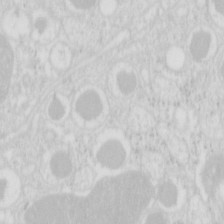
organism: Mouse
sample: Pancreas